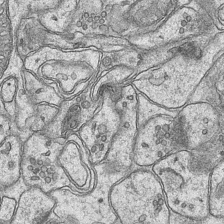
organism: Mouse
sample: CA1 Hippocampus